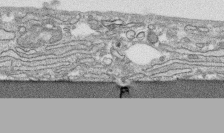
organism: Human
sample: CRL-1474